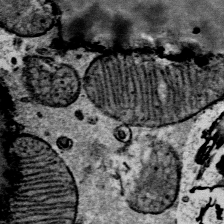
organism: Mouse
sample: Mouse Salivary gland